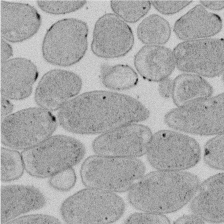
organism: E. coli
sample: Bacterial nucleoid